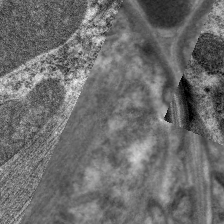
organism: C. elegans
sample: Pharynx